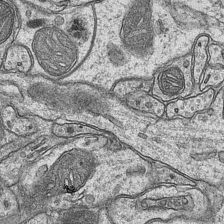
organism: Mouse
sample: CA1 Hippocampus